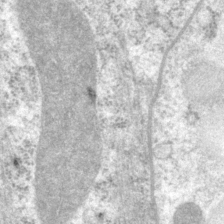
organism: P. pacificus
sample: Pharynx